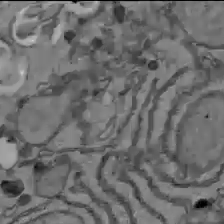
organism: C57BL Mouse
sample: Liver